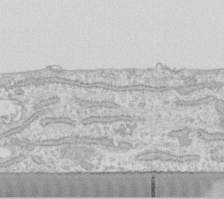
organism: Human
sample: Fibroblast cells